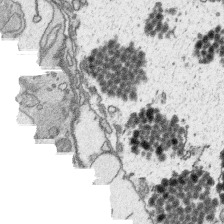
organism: Platynereis dumerilii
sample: Parapodia